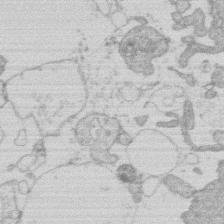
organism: Human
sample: Macrophage cells